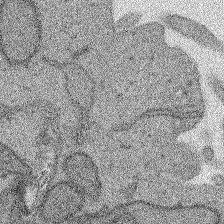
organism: Human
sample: HeLa cells